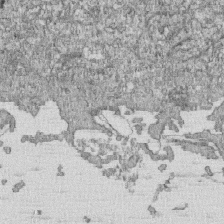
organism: Human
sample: HeLa cell HIV synapse